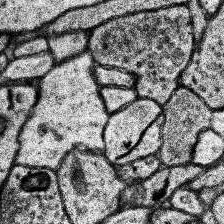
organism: Human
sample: Temporal Lobe